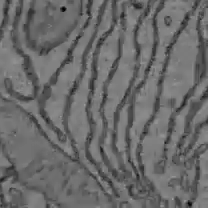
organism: C57BL Mouse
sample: Liver